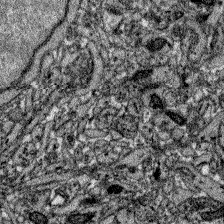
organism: Zebrafish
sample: Larval olfactory bulb